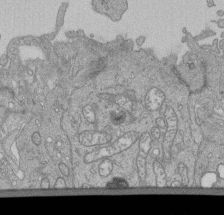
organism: Human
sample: Retinal organoid Rod and Cone cells